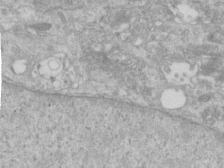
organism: Human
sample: Centriole in RPE cells